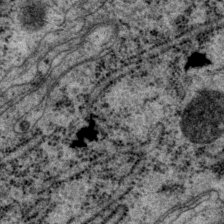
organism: P. pacificus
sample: Pharynx